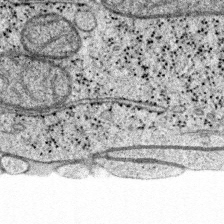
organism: Human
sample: HeLa cells